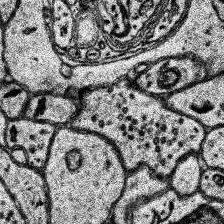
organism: Human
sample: Temporal Lobe